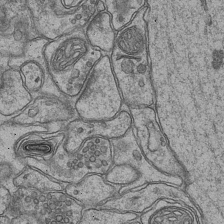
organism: Mouse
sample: CA1 Hippocampus